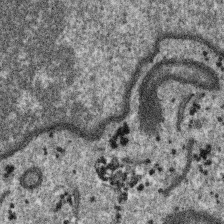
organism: Human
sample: Lung epithelial cells infected with SARS-CoV-2